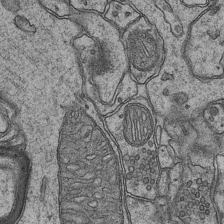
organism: Mouse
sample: CA1 Hippocampus